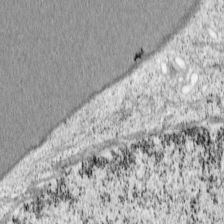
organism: African green monkey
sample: COS-7 cells